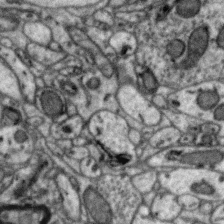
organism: Zebra finch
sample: Brain